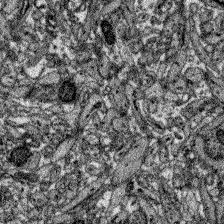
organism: Zebrafish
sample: Larval olfactory bulb